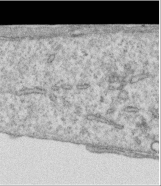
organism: Human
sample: Centriole in RPE cells